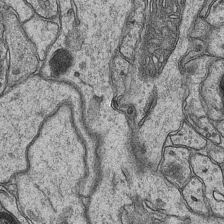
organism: Mouse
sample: CA1 Hippocampus